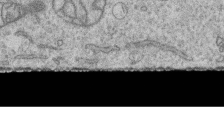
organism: Human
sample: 1205lu cells